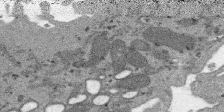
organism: Human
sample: Lung epithelial cells infected with SARS-CoV-2